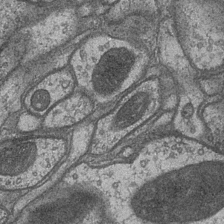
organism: Drosophila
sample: Optic medulla